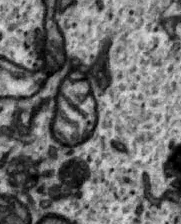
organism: Human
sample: HeLa cells